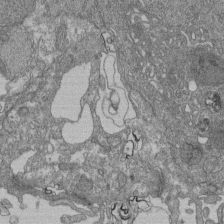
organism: Human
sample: Retinal organoid Rod and Cone cells